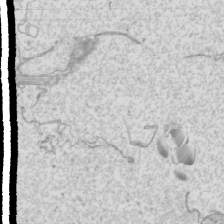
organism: Mouse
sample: Cilia; mouse epididymis